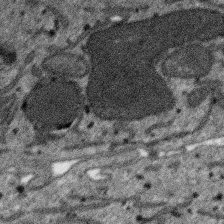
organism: Human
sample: Lung epithelial cells infected with SARS-CoV-2